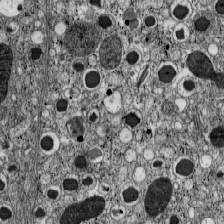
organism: C57BL Mouse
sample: Pancreatic islet